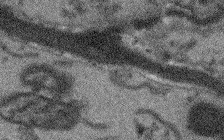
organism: Arabidopsis thaliana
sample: Root tip